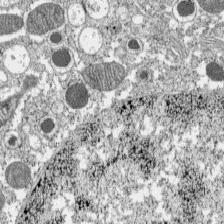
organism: C57BL Mouse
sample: Pancreatic islet